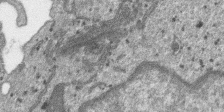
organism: Human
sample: Lung epithelial cells infected with SARS-CoV-2